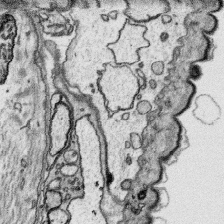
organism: Platynereis dumerilii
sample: Parapodia